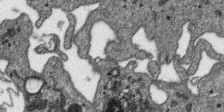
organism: Human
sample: Lung epithelial cells infected with SARS-CoV-2